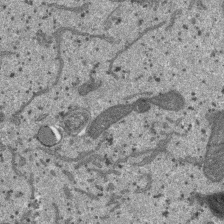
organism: Human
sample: Lung epithelial cells infected with SARS-CoV-2